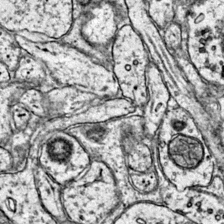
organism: Mouse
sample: Primary visual cortex